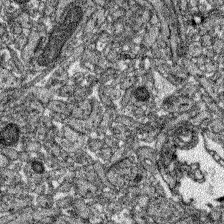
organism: Zebrafish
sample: Larval olfactory bulb